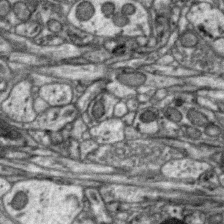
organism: Zebra finch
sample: Brain